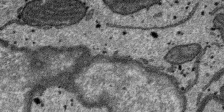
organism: Human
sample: Lung epithelial cells, uninfected (mock) control